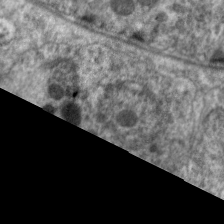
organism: C. elegans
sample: Pharynx